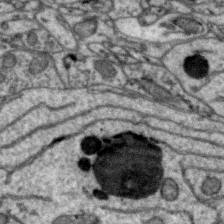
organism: Zebra finch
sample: Brain